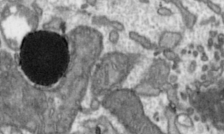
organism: Toxoplasma gondii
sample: Parasites in a vacuole inside a host cell